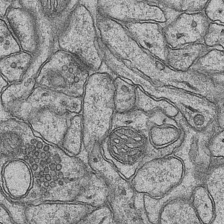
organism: Mouse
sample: CA1 Hippocampus